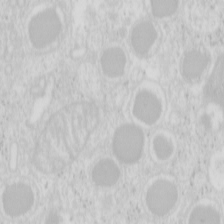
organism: Mouse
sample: Pancreas